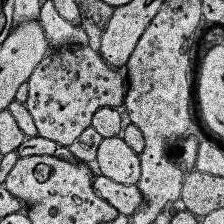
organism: Human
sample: Temporal Lobe